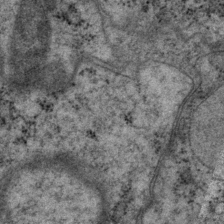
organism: P. pacificus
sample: Pharynx